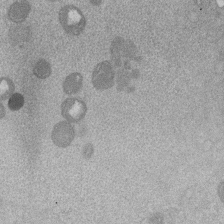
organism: Mouse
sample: Dividing mouse embryo 1 cell stage